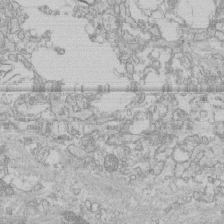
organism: Human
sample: CRL-1474